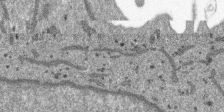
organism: Human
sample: Lung epithelial cells infected with SARS-CoV-2